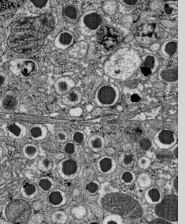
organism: C57BL Mouse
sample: Pancreatic islet